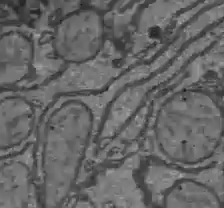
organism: C57BL Mouse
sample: Liver